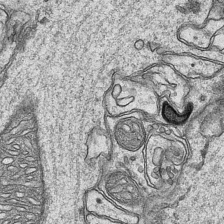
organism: Mouse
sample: CA1 Hippocampus